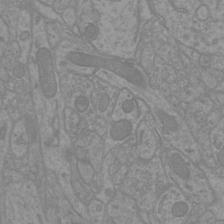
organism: Mouse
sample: Cortical neurons